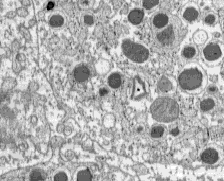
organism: C57BL Mouse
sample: Pancreatic islet